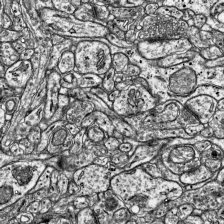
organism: Mouse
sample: Visual Cortex